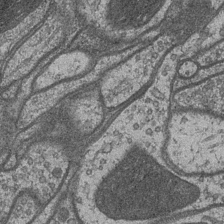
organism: Drosophila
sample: Optic medulla